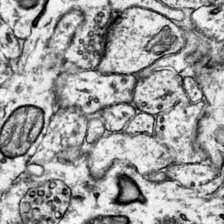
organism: Mouse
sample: Primary visual cortex